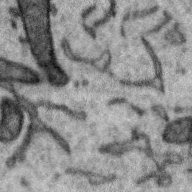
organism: Zebra finch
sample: Brain